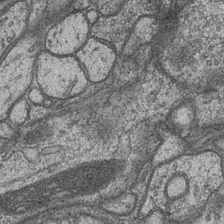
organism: Drosophila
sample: Optic medulla